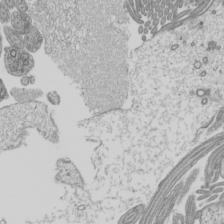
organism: Mouse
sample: Cilia; mouse epididymis